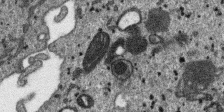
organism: Human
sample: Lung epithelial cells infected with SARS-CoV-2